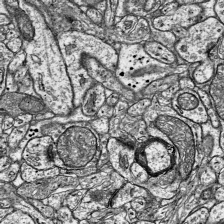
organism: Mouse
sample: Visual Cortex